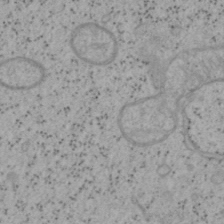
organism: Human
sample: HeLa cells